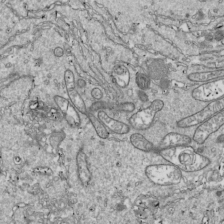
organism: Drosophila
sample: Cell division; meiosis; drosophila spermatocytes